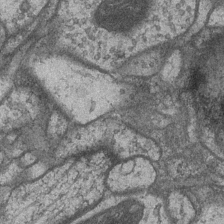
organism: Drosophila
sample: Optic medulla